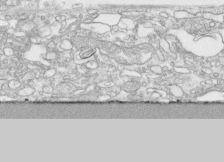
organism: Human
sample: CRL-1474